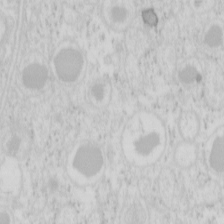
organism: Mouse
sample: Pancreas